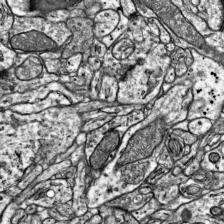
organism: Mouse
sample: Visual Cortex